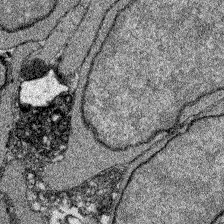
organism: Zebrafish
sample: Larval olfactory bulb